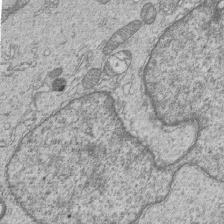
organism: Human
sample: MDA-MB-231 cells